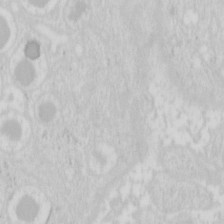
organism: Mouse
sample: Pancreas